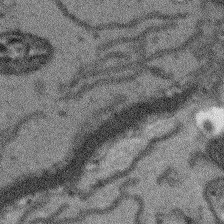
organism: Arabidopsis thaliana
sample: Root tip